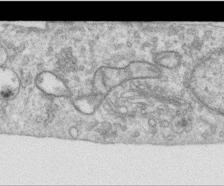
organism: Human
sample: Centriole in RPE cells